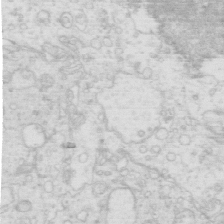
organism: Mouse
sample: Multiciliated cells